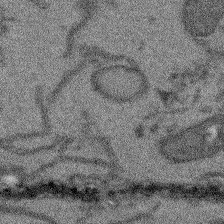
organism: Arabidopsis thaliana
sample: Root tip